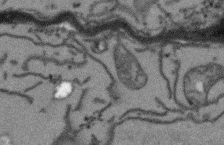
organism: Arabidopsis thaliana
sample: Root tip